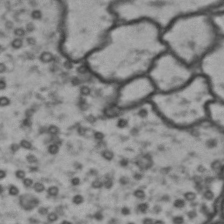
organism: Drosophila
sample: Brain